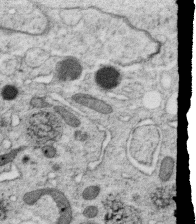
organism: C. elegans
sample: C. elegans oocyte; sperm cells